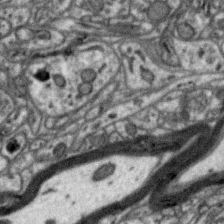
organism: Zebra finch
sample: Brain